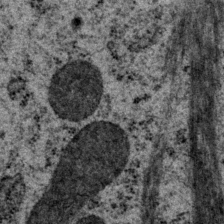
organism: P. pacificus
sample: Pharynx